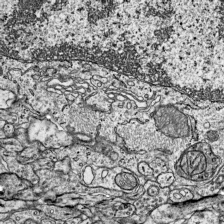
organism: Mouse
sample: Visual Cortex